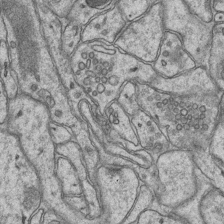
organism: Mouse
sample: CA1 Hippocampus